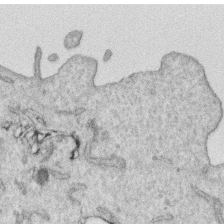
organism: Human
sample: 1205lu cells